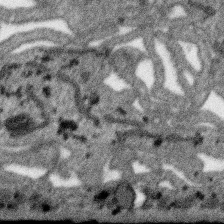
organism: Human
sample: Lung epithelial cells infected with SARS-CoV-2